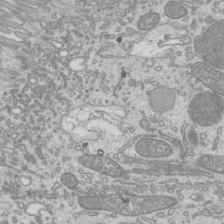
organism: Mouse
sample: Cilia; mouse epididymis